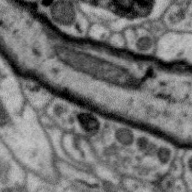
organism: Zebra finch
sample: Brain